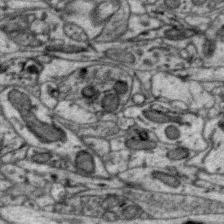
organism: Zebra finch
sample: Brain